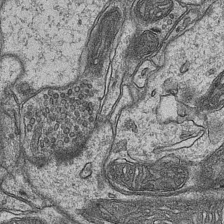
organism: Mouse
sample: CA1 Hippocampus